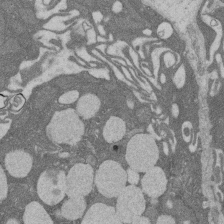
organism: Rat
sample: Salivary granule